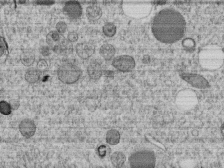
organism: C. elegans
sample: C. elegans embryo early stage